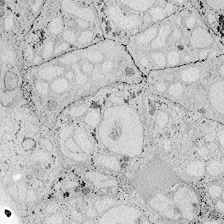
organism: Zebrafish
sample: Whole-Brain